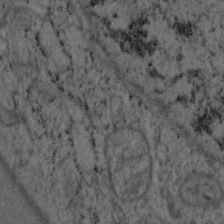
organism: Human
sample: HeLa cells